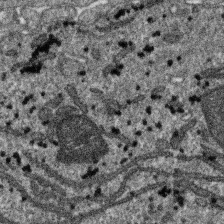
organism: Human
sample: Lung epithelial cells infected with SARS-CoV-2